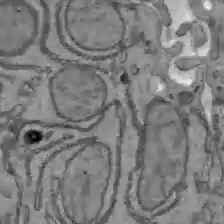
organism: C57BL Mouse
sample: Liver